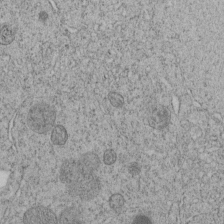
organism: C. elegans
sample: C. elegans embryo early stage